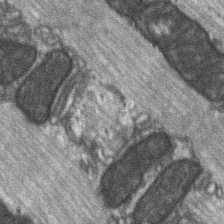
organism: C57BL Mouse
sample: Soleus